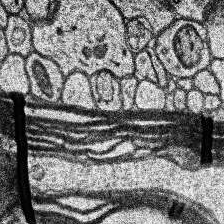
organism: Human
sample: Temporal Lobe